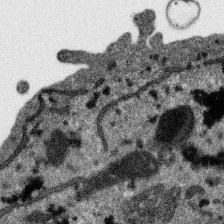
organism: Human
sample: Lung epithelial cells infected with SARS-CoV-2